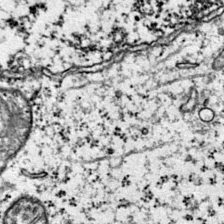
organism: Mouse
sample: Primary visual cortex